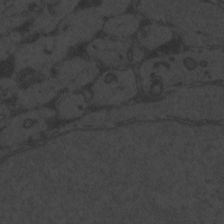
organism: Zebrafish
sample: Macrophage infected with Toxoplasma gondii